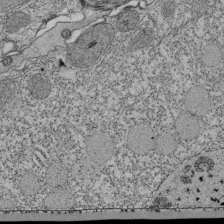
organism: Tetrahymena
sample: Cilia in tetrahymena